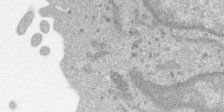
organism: Human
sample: Lung epithelial cells infected with SARS-CoV-2